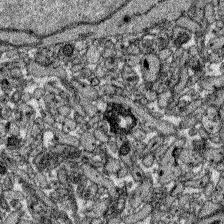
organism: Zebrafish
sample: Larval olfactory bulb